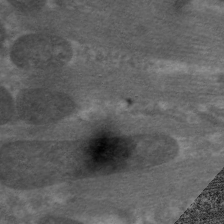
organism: C. elegans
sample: Pharynx